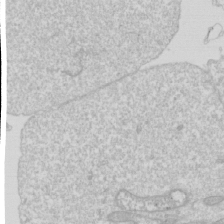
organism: Drosophila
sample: Cell division; meiosis; drosophila spermatocytes